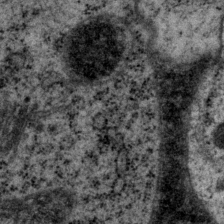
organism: P. pacificus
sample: Pharynx